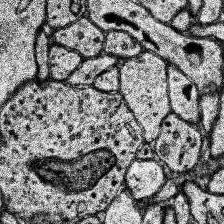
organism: Human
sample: Temporal Lobe